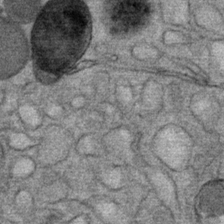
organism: Mouse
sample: Mouse Salivary gland